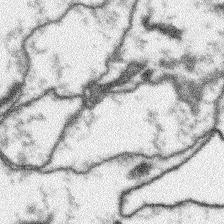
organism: Arabidopsis thaliana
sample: Root tip